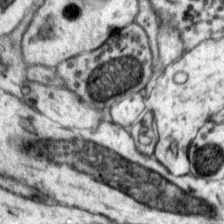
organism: Mouse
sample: Primary visual cortex